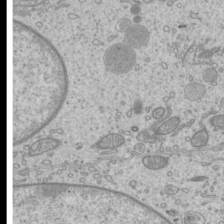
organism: Mouse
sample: Cilia; mouse epididymis